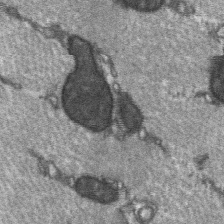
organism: C57BL Mouse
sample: Soleus